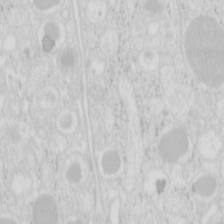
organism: Mouse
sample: Pancreas